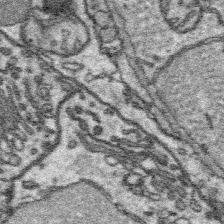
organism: Platynereis dumerilii